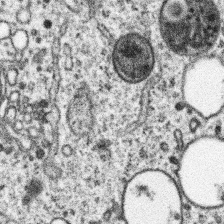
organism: Human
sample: HeLa cells